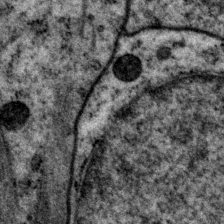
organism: P. pacificus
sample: Pharynx